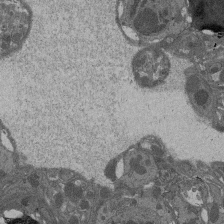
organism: Drosophila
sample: Antenna